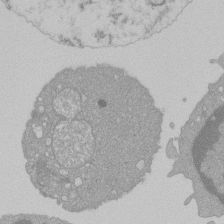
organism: Mouse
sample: Activated Pmel transgenic CD8+ T Cells